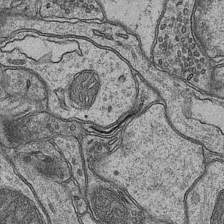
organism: Mouse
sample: CA1 Hippocampus